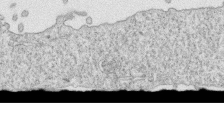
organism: Human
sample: HeLa cell HIV synapse